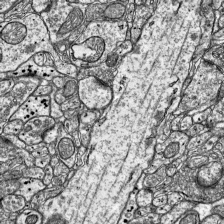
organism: Mouse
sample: Visual Cortex